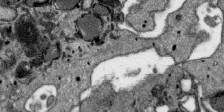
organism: Human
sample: Lung epithelial cells, uninfected (mock) control